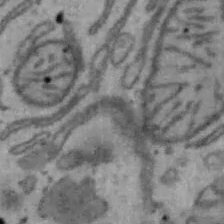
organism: Mouse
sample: Liver